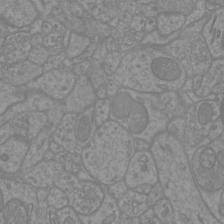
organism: Mouse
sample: Cortical neurons